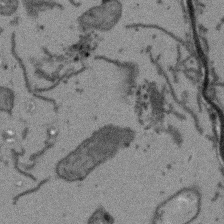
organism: Arabidopsis thaliana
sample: Root tip